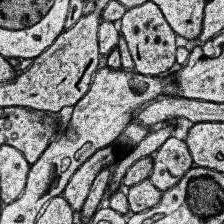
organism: Human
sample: Temporal Lobe